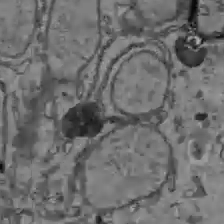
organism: C57BL Mouse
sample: Liver